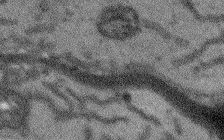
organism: Arabidopsis thaliana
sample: Root tip